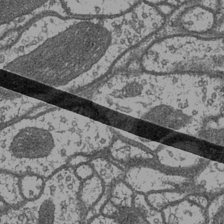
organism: Drosophila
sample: Optic medulla